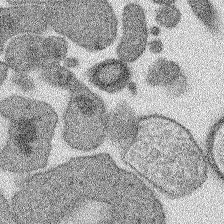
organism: Human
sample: HeLa cells